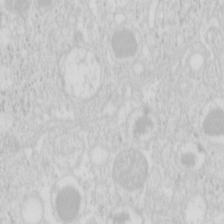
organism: Mouse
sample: Pancreas